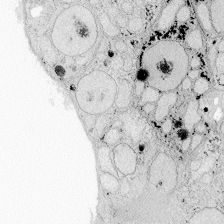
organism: Zebrafish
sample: Whole-Brain